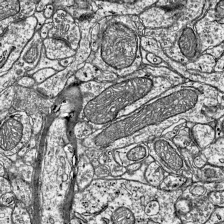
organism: Mouse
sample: Visual Cortex